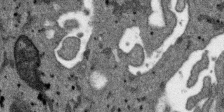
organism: Human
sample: Lung epithelial cells, uninfected (mock) control